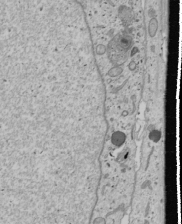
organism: Human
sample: Mitochondria in U2OS cells